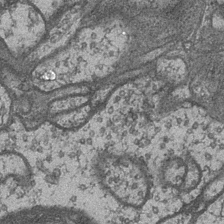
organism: Drosophila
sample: Optic medulla